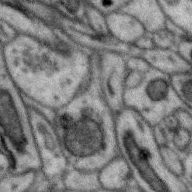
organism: Zebra finch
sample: Brain